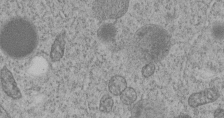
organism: C. elegans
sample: C. elegans embryo early stage